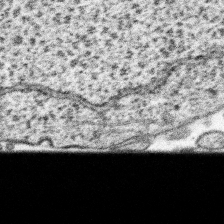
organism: Human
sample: HeLa cells